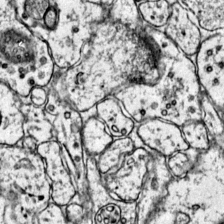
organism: Mouse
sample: Primary visual cortex